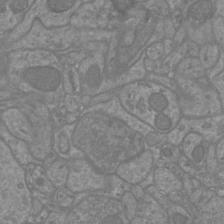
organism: Mouse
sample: Cortical neurons